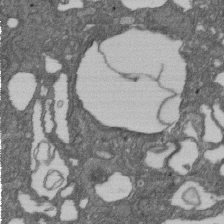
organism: Drosophila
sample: Nephrocyte